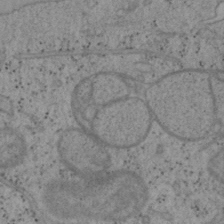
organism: Human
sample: HeLa cells